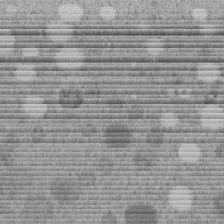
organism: C. elegans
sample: C. elegans embryo early stage